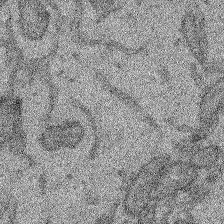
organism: Human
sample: HeLa cells